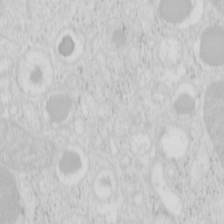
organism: Mouse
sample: Pancreas